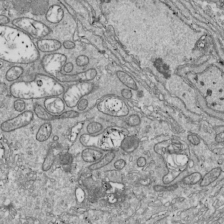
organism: Drosophila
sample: Cell division; meiosis; drosophila spermatocytes